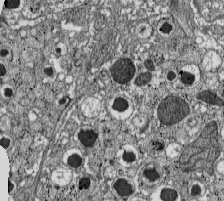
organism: C57BL Mouse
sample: Pancreatic islet